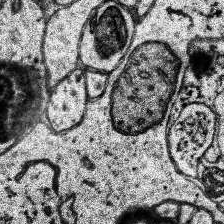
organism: Human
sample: Temporal Lobe